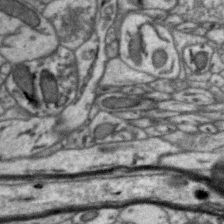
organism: Zebra finch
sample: Brain